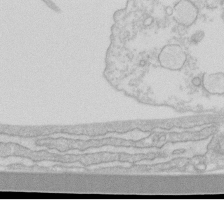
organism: Human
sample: Fibroblast cells